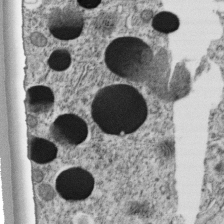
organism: C. elegans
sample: C. elegans embryo early stage